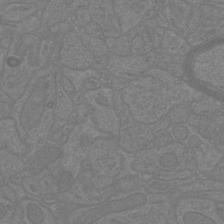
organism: Mouse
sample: Cortical neurons